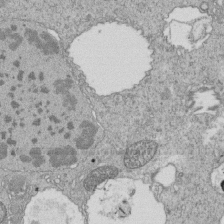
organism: Tetrahymena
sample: Cilia in tetrahymena